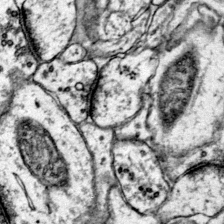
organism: Mouse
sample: Primary visual cortex